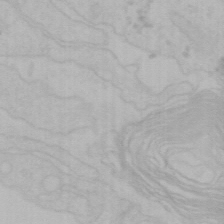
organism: Mouse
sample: Choroid plexus